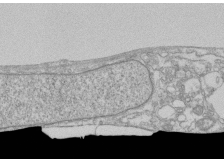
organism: Human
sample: CRL-1474